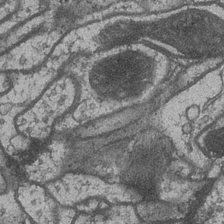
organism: Drosophila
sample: Optic medulla